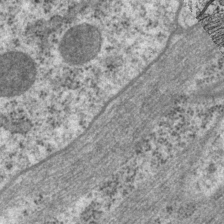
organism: P. pacificus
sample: Pharynx